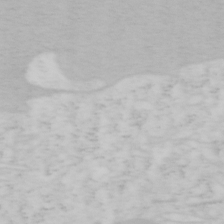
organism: Mouse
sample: OT-I killer T cells with ID8 ovarian cancer cells